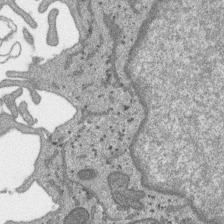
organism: Human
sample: Lung epithelial cells infected with SARS-CoV-2